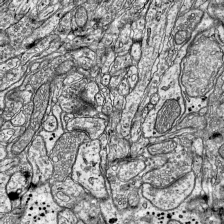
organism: Mouse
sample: Visual Cortex